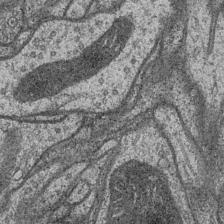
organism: Drosophila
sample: Optic medulla